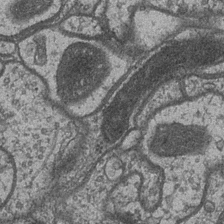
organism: Drosophila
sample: Optic medulla